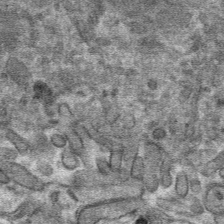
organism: Mouse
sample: Mouse hepatocytes